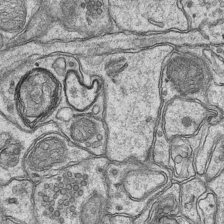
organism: Mouse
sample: CA1 Hippocampus